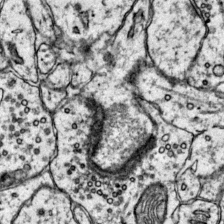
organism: Mouse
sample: Primary visual cortex